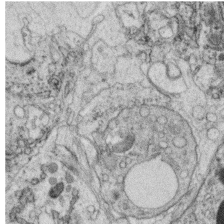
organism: C. elegans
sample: C. elegans oocyte; sperm cells